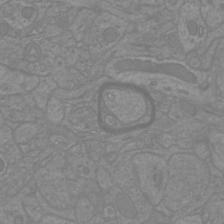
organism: Mouse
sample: Cortical neurons